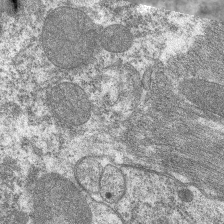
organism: C. elegans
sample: Pharynx